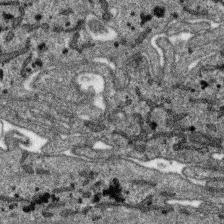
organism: Human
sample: Lung epithelial cells infected with SARS-CoV-2